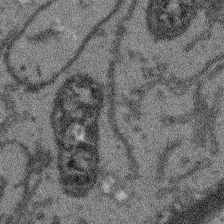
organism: Arabidopsis thaliana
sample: Root tip